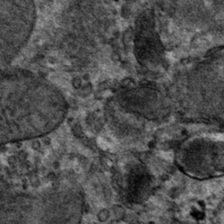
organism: Mouse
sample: Mouse hepatocytes